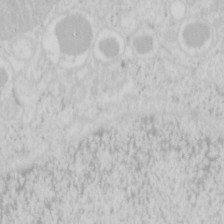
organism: Mouse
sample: Pancreas